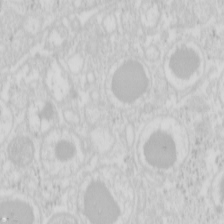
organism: Mouse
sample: Pancreas